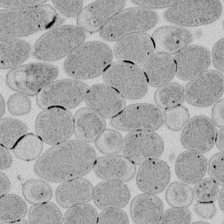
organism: E. coli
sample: Bacterial nucleoid